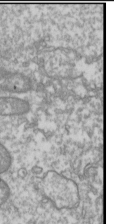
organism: Drosophila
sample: Cell division; meiosis; drosophila spermatocytes